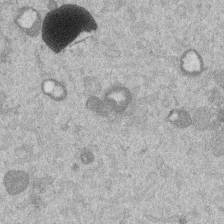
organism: Mouse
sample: Dividing mouse embryo 1 cell stage